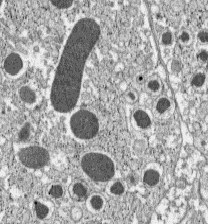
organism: C57BL Mouse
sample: Pancreatic islet